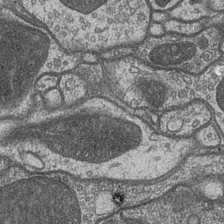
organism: Drosophila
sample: Optic medulla